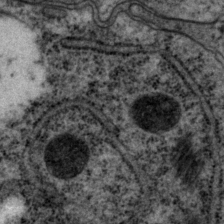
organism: P. pacificus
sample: Pharynx